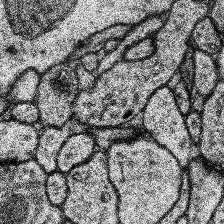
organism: Human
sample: Temporal Lobe